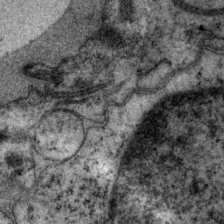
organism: P. pacificus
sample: Pharynx